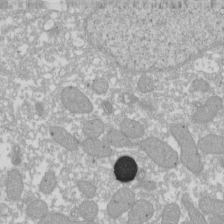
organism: Xenopus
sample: Cilia; centrioles in frog embryo cells